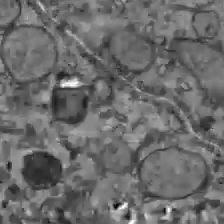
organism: C57BL Mouse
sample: Liver